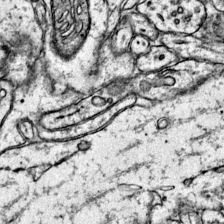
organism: Mouse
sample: Primary visual cortex